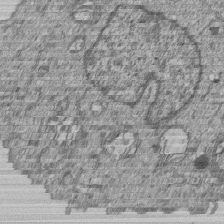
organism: Human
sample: MDA-MB-231 cells